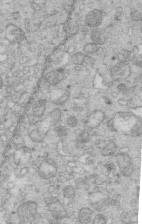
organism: Mouse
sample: Multiciliated cells